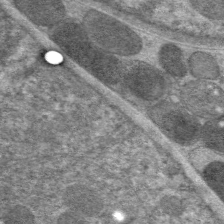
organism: C. elegans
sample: Pharynx